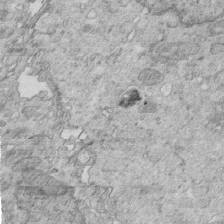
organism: Mouse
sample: Multiciliated cells